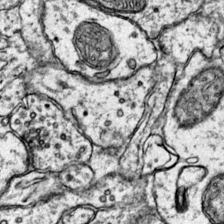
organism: Mouse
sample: Primary visual cortex